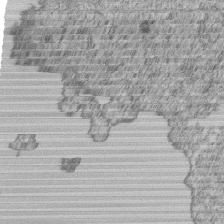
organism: Human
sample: MDA-MB-231 cells